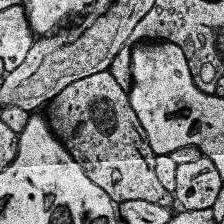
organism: Human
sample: Temporal Lobe